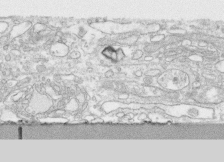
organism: Human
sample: CRL-1474